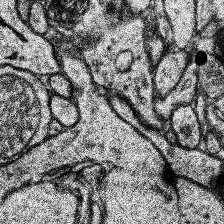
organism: Human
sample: Temporal Lobe